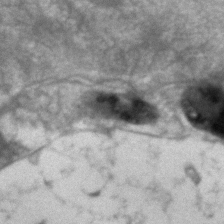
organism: Human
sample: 1205lu cells